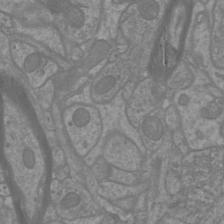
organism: Mouse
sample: Cortical neurons